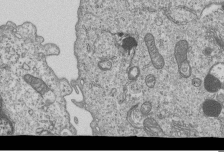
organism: Human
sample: MDA-MB-231 cells